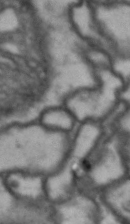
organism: Drosophila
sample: Brain